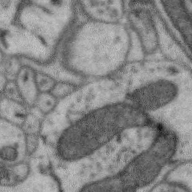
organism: Zebra finch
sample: Brain